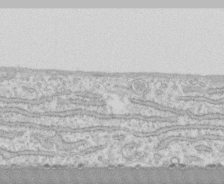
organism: Human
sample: CRL-1474